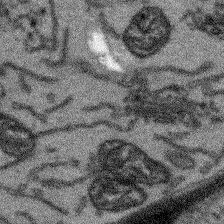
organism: Arabidopsis thaliana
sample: Root tip